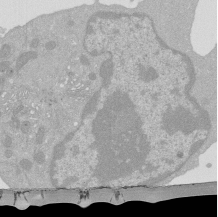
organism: Mouse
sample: Activated Pmel transgenic CD8+ T Cells